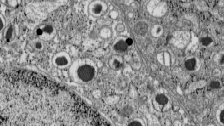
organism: C57BL Mouse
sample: Pancreatic islet